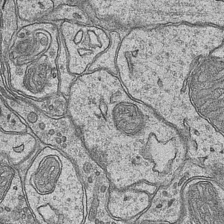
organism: Mouse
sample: CA1 Hippocampus